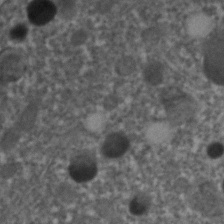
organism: C. elegans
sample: C. elegans embryo